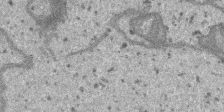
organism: Human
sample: Lung epithelial cells infected with SARS-CoV-2